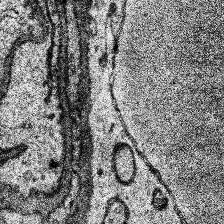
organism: Human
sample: Temporal Lobe